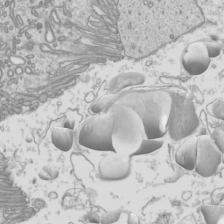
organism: Mouse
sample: Cilia; mouse epididymis